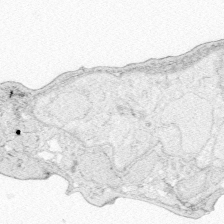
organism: Zebrafish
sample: Whole-Brain